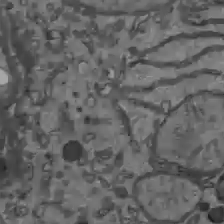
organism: C57BL Mouse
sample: Liver